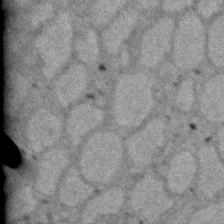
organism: Zebrafish